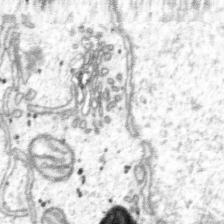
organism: Human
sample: HeLa cells